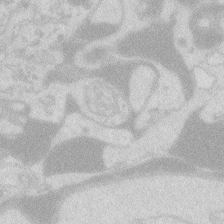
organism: Zebrafish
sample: Macrophage